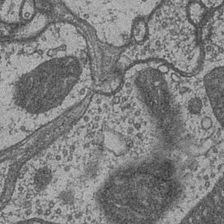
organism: Drosophila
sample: Optic medulla